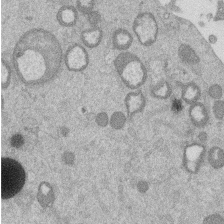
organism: Mouse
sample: Dividing mouse embryo 1 cell stage